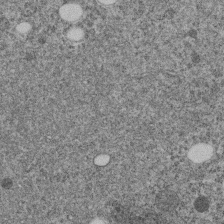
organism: C. elegans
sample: C. elegans embryo early stage